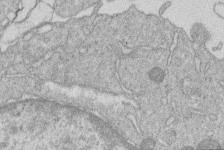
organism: Human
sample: Macrophage cells